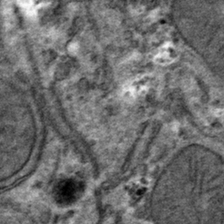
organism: Mouse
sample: Mouse hepatocytes